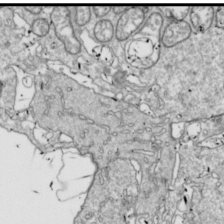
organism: Drosophila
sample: Cell division; meiosis; drosophila spermatocytes